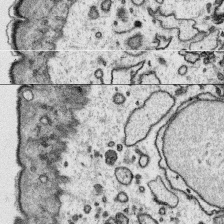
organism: Platynereis dumerilii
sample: Parapodia